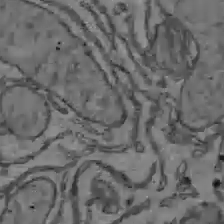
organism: C57BL Mouse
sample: Liver